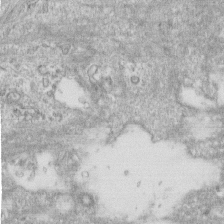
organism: Human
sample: Centriole in RPE cells